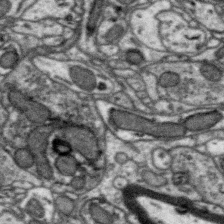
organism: Zebra finch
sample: Brain